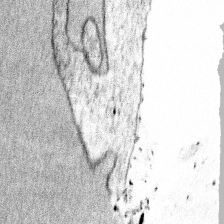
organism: Human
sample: HeLa cells